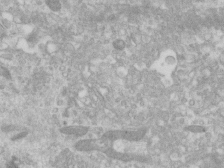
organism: Human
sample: Centriole in RPE cells